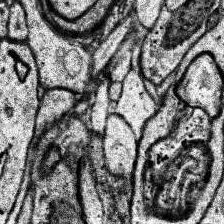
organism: Human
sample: Temporal Lobe